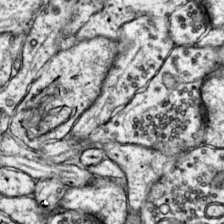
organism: Mouse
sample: Primary visual cortex